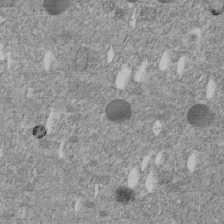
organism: C. elegans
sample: C. elegans embryo early stage